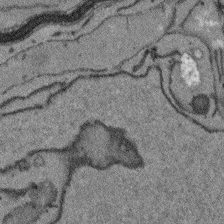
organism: Arabidopsis thaliana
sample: Root tip